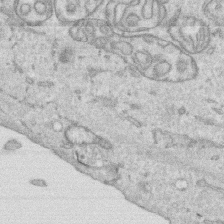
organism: Human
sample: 1205lu cells